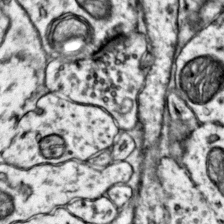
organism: Mouse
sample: Primary visual cortex